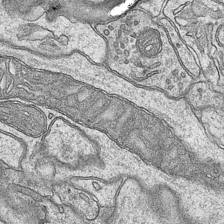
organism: Mouse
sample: CA1 Hippocampus